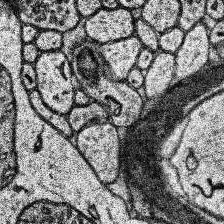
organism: Human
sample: Temporal Lobe